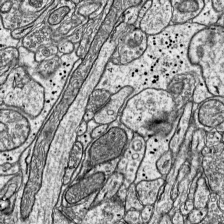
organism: Mouse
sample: Visual Cortex